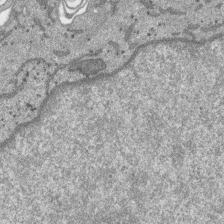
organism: Human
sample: Lung epithelial cells infected with SARS-CoV-2